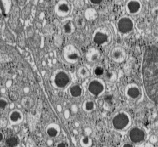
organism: C57BL Mouse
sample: Pancreatic islet